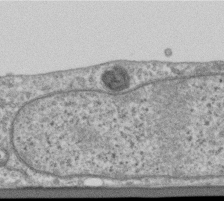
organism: Human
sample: Centriole in RPE cells